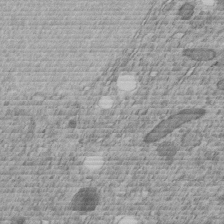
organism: C. elegans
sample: C. elegans embryo early stage